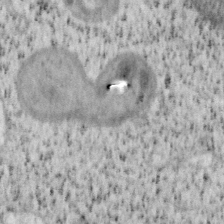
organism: Mouse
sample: OT-I killer T cells with ID8 ovarian cancer cells